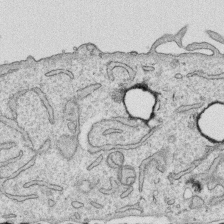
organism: Human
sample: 1205lu cells